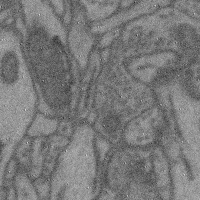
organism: Mouse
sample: Cerebral cortex